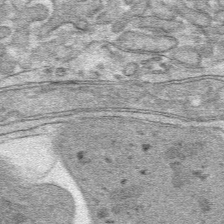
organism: Mouse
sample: Mouse hepatocytes